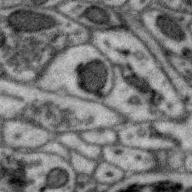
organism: Zebra finch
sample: Brain